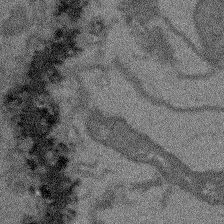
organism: Arabidopsis thaliana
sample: Root tip